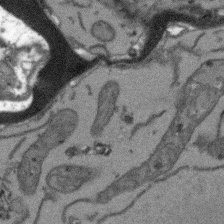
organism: Arabidopsis thaliana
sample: Root tip